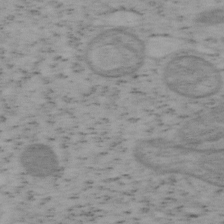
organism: Mouse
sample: OT-I killer T cells with ID8 ovarian cancer cells